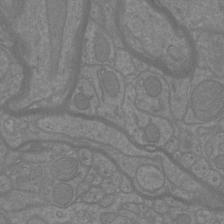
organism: Mouse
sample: Cortical neurons